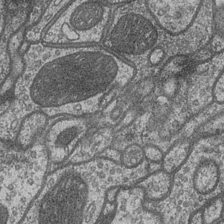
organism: Drosophila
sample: Optic medulla